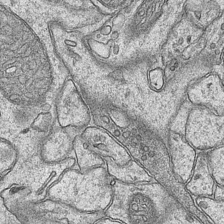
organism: Mouse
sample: CA1 Hippocampus